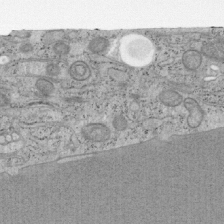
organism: Human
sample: HeLa cells